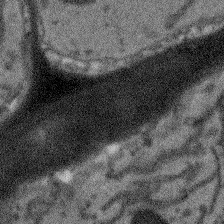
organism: Arabidopsis thaliana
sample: Root tip